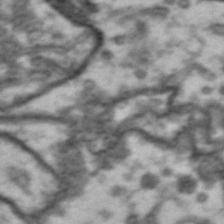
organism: Drosophila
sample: Brain